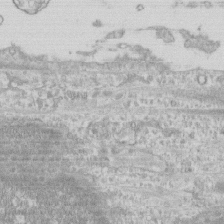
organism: Human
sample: CRL-1474